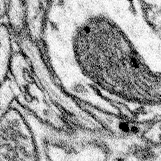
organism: Mouse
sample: Somatosensory cortex neuropil